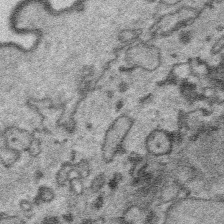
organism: Platynereis dumerilii